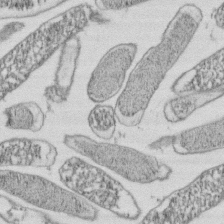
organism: E. coli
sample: Bacterial nucleoid